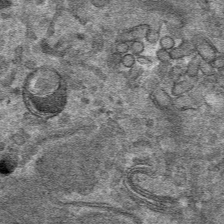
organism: Mouse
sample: Mouse hepatocytes